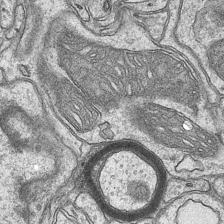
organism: Mouse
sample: CA1 Hippocampus